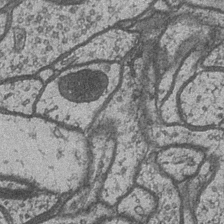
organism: Drosophila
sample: Optic medulla